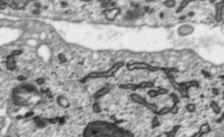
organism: Toxoplasma gondii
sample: Parasites in a vacuole inside a host cell